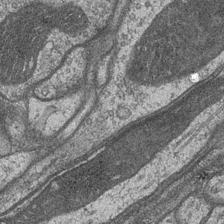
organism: Drosophila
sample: Optic medulla